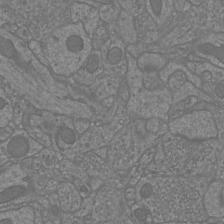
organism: Mouse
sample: Cortical neurons